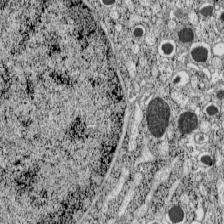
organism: C57BL Mouse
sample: Pancreatic islet